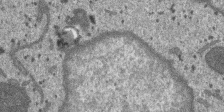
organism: Human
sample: Lung epithelial cells infected with SARS-CoV-2